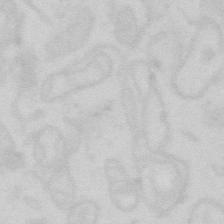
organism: Human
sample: HeLa cells